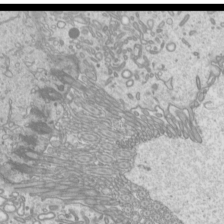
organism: Mouse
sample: Cilia; mouse epididymis